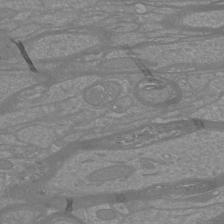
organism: Mouse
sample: Cortical neurons